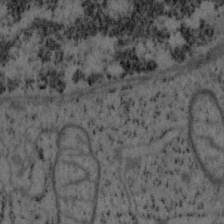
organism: Human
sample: HeLa cells